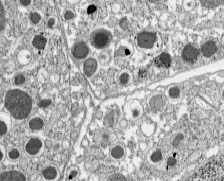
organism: C57BL Mouse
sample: Pancreatic islet